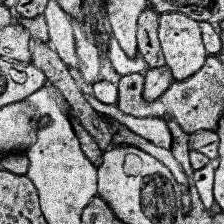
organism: Human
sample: Temporal Lobe